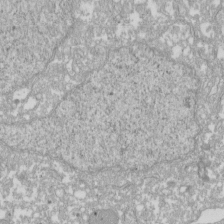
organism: Xenopus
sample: Cilia; centrioles in frog embryo cells